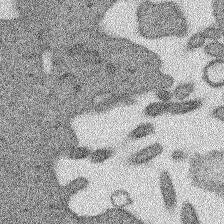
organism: Human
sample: HeLa cells